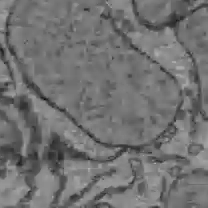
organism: C57BL Mouse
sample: Liver